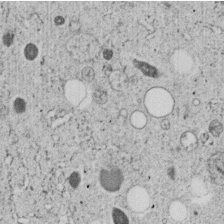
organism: C. elegans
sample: C. elegans embryo early stage